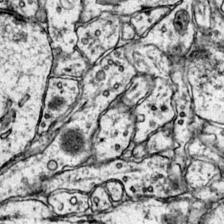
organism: Mouse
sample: Primary visual cortex